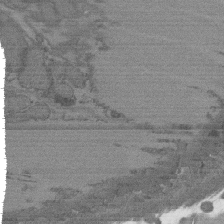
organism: C. elegans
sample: AFD neurons C. elegans